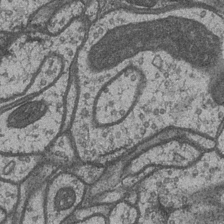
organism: Drosophila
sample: Optic medulla